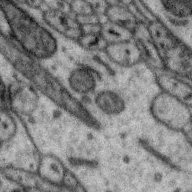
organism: Zebra finch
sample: Brain